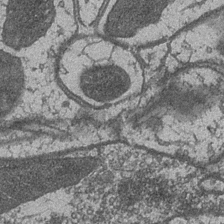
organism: Drosophila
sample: Optic medulla